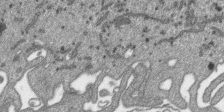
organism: Human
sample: Lung epithelial cells infected with SARS-CoV-2